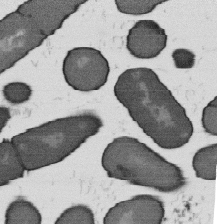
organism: B. subtilis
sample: Bacterial spore